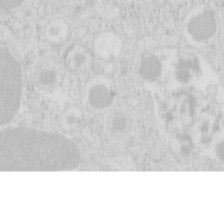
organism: Mouse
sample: Pancreas